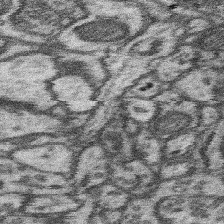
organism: Mouse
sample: Somatosensory cortex neuropil